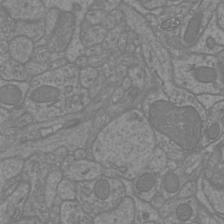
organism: Mouse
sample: Cortical neurons